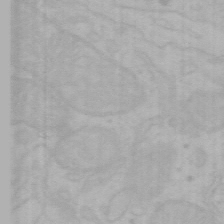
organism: Mouse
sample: Choroid plexus